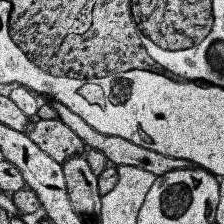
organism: Human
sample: Temporal Lobe